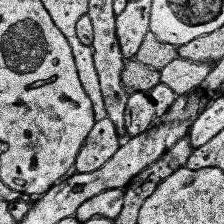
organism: Human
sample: Temporal Lobe